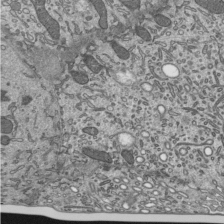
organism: Mouse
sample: Mouse epididymis efferent ductule cilia